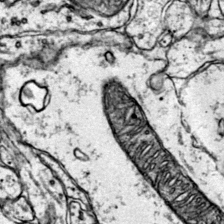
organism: Mouse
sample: Primary visual cortex